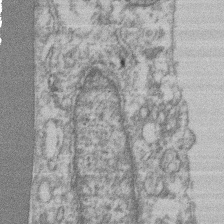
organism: Mouse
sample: T cell stromal cell synapse